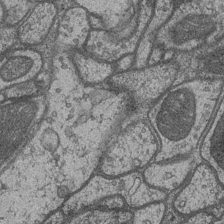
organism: Drosophila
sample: Optic medulla